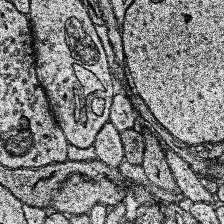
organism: Human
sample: Temporal Lobe